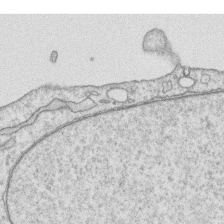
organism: Human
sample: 1205lu cells